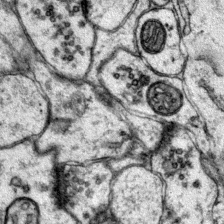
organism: Mouse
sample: Primary visual cortex